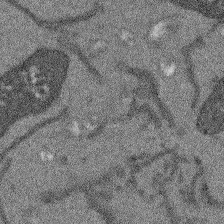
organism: Arabidopsis thaliana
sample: Root tip